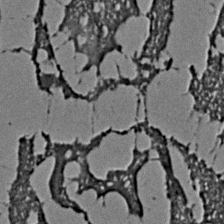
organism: C. elegans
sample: C. elegans embryo